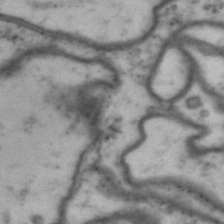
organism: Drosophila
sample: Brain